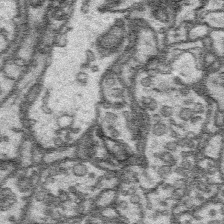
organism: Platynereis dumerilii